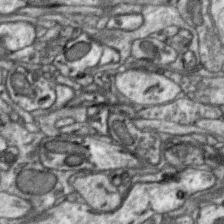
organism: Zebra finch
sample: Brain